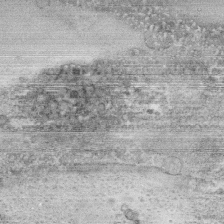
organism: Human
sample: CRL-1474